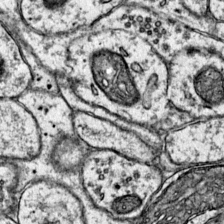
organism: Mouse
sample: Primary visual cortex